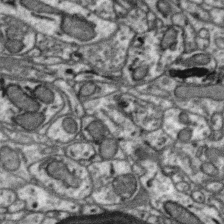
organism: Zebra finch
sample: Brain